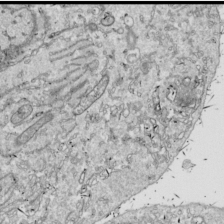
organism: Drosophila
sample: Cell division; meiosis; drosophila spermatocytes